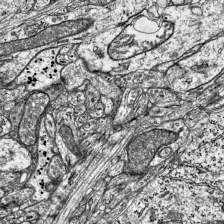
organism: Mouse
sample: Visual Cortex